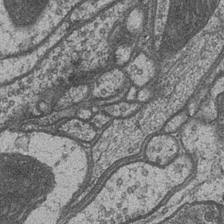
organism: Drosophila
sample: Optic medulla